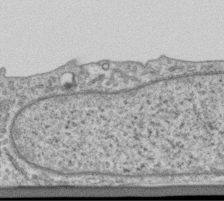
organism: Human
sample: Centriole in RPE cells